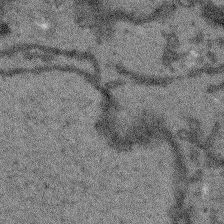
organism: Arabidopsis thaliana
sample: Root tip